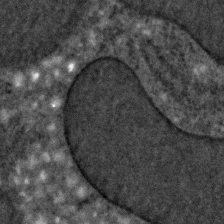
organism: C. elegans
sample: C. elegans embryo